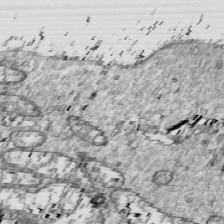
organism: Drosophila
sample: Cell division; meiosis; drosophila spermatocytes